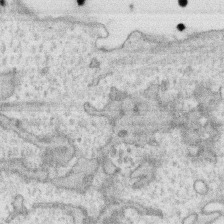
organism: Human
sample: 1205lu cells